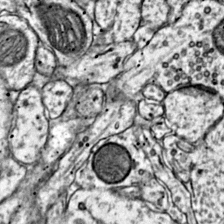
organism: Mouse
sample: Primary visual cortex